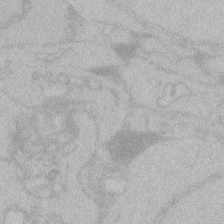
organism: Zebrafish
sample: Macrophage infected with Toxoplasma gondii